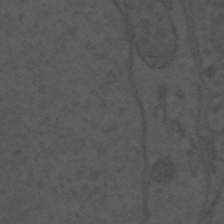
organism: Mouse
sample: Suprachiasmatic nucleus